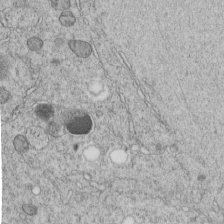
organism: C. elegans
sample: C. elegans embryo early stage